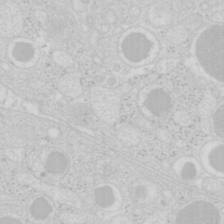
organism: Mouse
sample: Pancreas